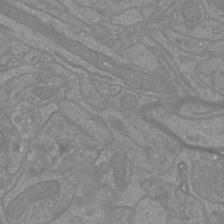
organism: Mouse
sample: Cortical neurons